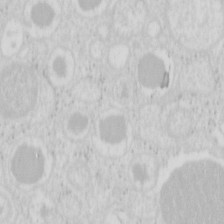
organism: Mouse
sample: Pancreas